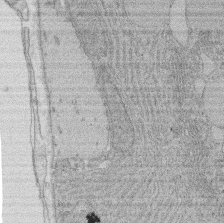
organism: Rat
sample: Salivary granule